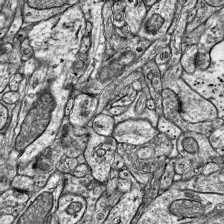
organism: Mouse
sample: Visual Cortex